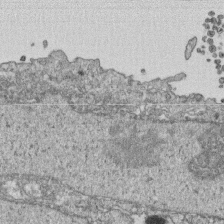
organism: Human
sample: HeLa cell HIV synapse